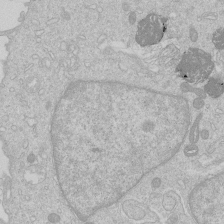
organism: Human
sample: Macrophage cells